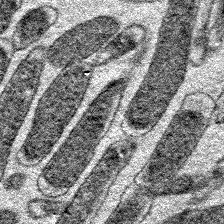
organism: E. coli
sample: E. Coli Bacteria